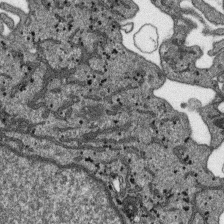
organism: Human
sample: Lung epithelial cells infected with SARS-CoV-2